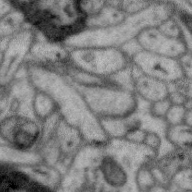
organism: Zebra finch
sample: Brain